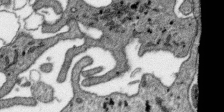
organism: Human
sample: Lung epithelial cells, uninfected (mock) control